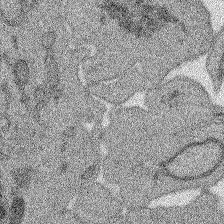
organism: Human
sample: HeLa cells